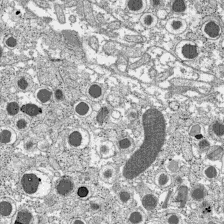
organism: C57BL Mouse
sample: Pancreatic islet